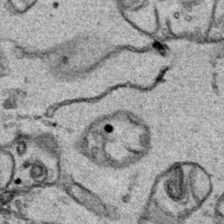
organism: Human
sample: Mitochondria in HCT116 cells